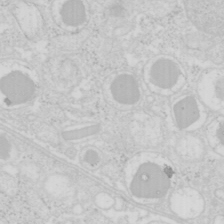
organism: Mouse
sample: Pancreas